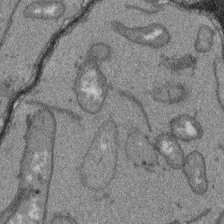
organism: Arabidopsis thaliana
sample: Root tip